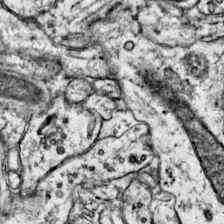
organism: Mouse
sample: Primary visual cortex